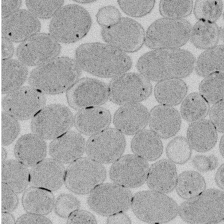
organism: E. coli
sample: Bacterial nucleoid